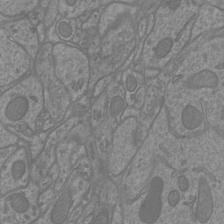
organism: Mouse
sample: Cortical neurons